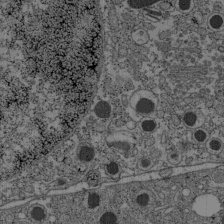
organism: C57BL Mouse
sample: Pancreatic islet